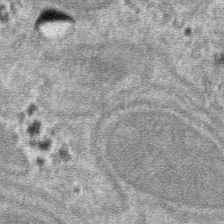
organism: Mouse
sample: Mouse hepatocytes